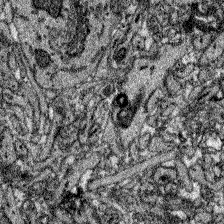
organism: Zebrafish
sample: Larval olfactory bulb